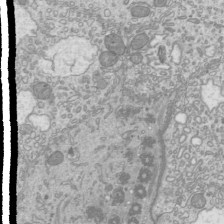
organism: Mouse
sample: Cilia; mouse epididymis